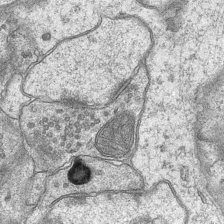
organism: Mouse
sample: CA1 Hippocampus